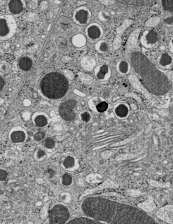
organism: C57BL Mouse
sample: Pancreatic islet